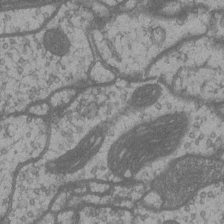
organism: Drosophila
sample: Optic medulla